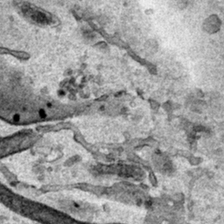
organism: Human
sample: Mitochondria in HCT116 cells